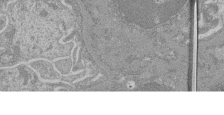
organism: Mouse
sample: Glomerulus